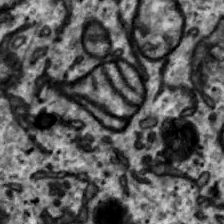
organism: Human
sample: HeLa cells